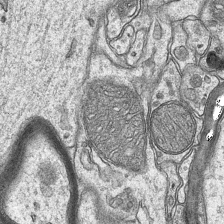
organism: Mouse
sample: CA1 Hippocampus